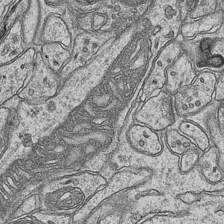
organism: Mouse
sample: CA1 Hippocampus